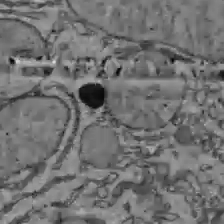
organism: C57BL Mouse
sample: Liver